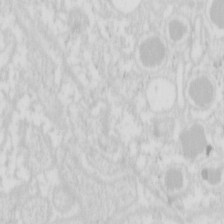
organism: Mouse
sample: Pancreas